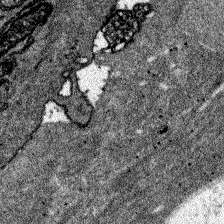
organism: Zebrafish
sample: Larval olfactory bulb